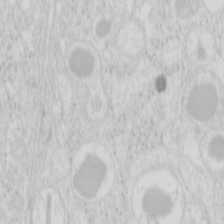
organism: Mouse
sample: Pancreas